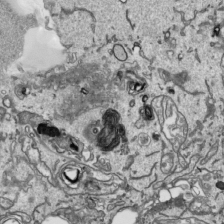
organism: Human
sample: Mitochondria in HCT116 cells